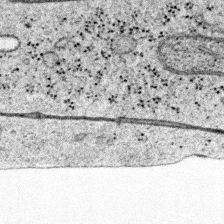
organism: Human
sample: HeLa cells